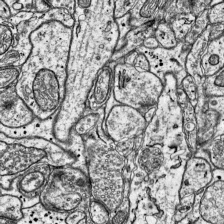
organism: Mouse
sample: Visual Cortex